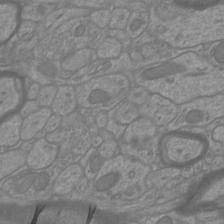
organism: Mouse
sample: Cortical neurons